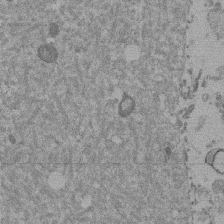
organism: Mouse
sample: Dividing mouse embryo 1 cell stage